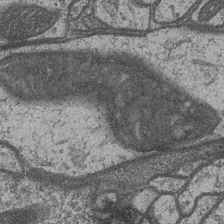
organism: Drosophila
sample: Optic medulla